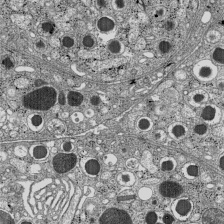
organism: C57BL Mouse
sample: Pancreatic islet